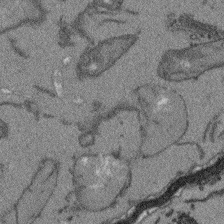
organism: Arabidopsis thaliana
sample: Root tip